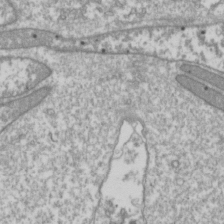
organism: Drosophila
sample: Cell division; meiosis; drosophila spermatocytes